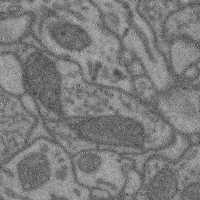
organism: Mouse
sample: Cerebral cortex